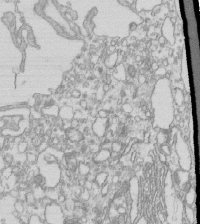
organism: Mouse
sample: Macrophages